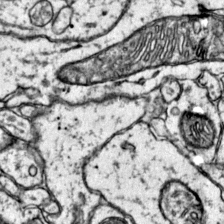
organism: Mouse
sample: Primary visual cortex